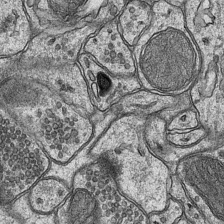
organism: Mouse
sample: CA1 Hippocampus